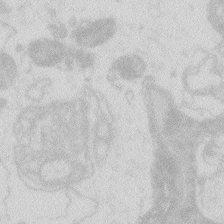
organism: Zebrafish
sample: Macrophage